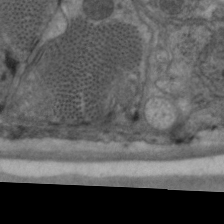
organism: C. elegans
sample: Pharynx